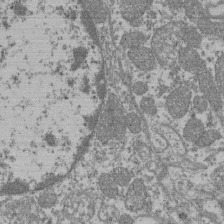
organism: Mouse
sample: Glomerulus